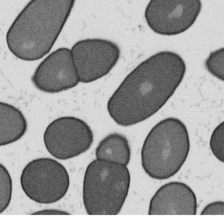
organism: B. subtilis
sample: Bacterial spore